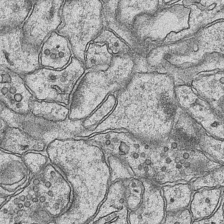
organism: Mouse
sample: CA1 Hippocampus